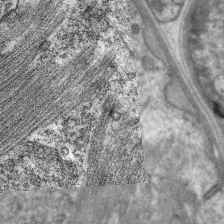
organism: C. elegans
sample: Pharynx